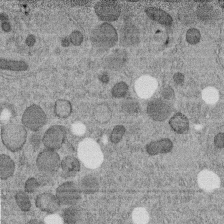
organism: C. elegans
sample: C. elegans embryo early stage